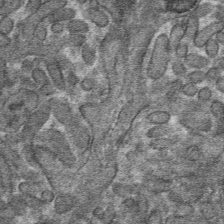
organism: Mouse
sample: Mouse hepatocytes